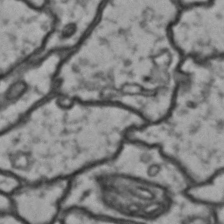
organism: Drosophila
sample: Brain